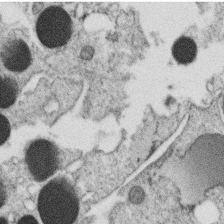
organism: C. elegans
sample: C. elegans oocyte; sperm cells